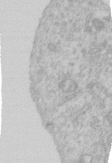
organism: Human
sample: Centriole in RPE cells